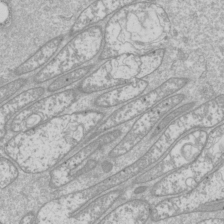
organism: Drosophila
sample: Cell division; meiosis; drosophila spermatocytes